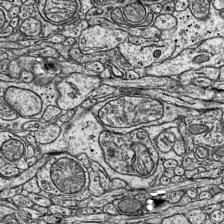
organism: Mouse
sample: Visual Cortex